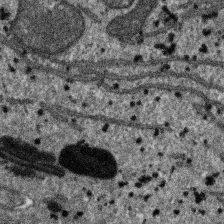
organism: Human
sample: Lung epithelial cells infected with SARS-CoV-2